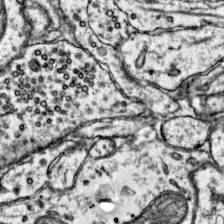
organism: Mouse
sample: Primary visual cortex